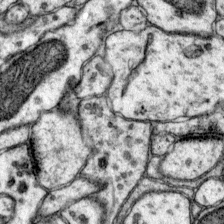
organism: Mouse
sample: Primary visual cortex